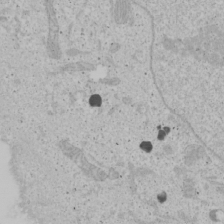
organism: Human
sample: Mitochondria in U2OS cells